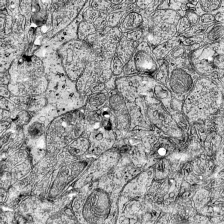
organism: Mouse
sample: Visual Cortex